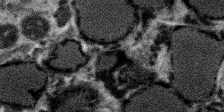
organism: Human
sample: Lung epithelial cells infected with SARS-CoV-2